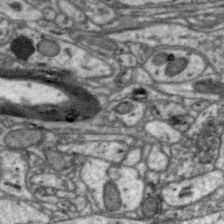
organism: Zebra finch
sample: Brain